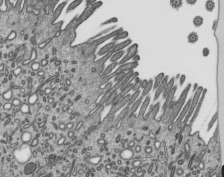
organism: Mouse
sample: Mouse epididymis efferent ductule cilia